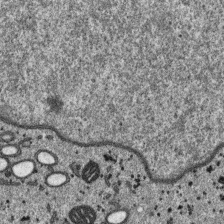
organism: Human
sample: Lung epithelial cells infected with SARS-CoV-2